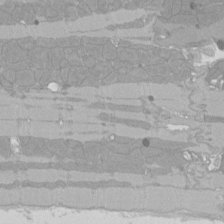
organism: Rat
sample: Left ventricle